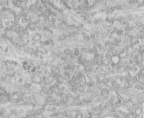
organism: Human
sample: Centriole in fibroblast cells